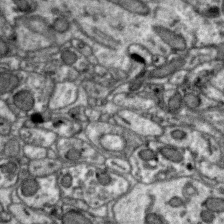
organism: Zebra finch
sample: Brain